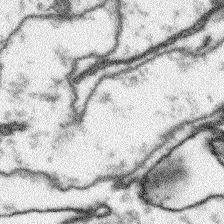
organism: Arabidopsis thaliana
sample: Root tip